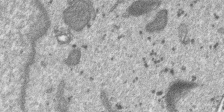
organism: Human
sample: Lung epithelial cells infected with SARS-CoV-2